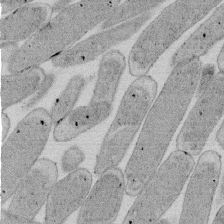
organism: E. coli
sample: Bacterial nucleoid